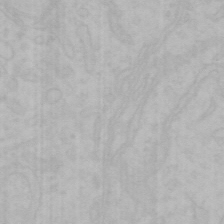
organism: Mouse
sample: Choroid plexus